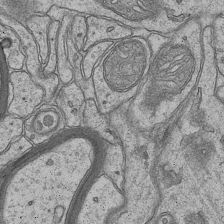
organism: Mouse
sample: CA1 Hippocampus